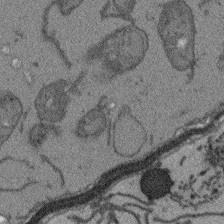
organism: Arabidopsis thaliana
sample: Root tip